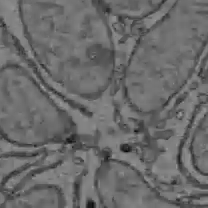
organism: C57BL Mouse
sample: Liver